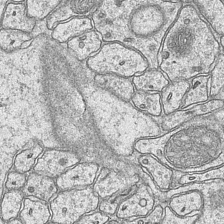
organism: Mouse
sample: CA1 Hippocampus